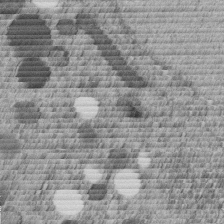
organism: C. elegans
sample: C. elegans embryo early stage